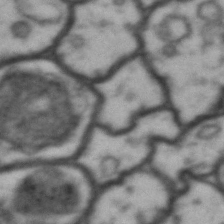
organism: Drosophila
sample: Brain